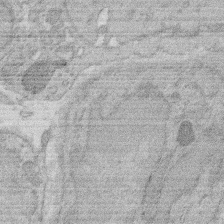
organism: Rat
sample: Salivary granule